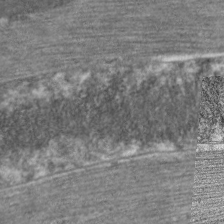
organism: C. elegans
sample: Pharynx